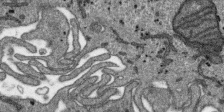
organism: Human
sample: Lung epithelial cells, uninfected (mock) control